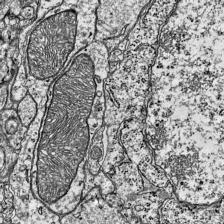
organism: Mouse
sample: Visual Cortex